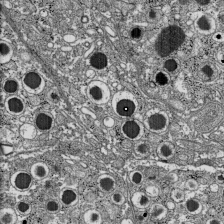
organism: C57BL Mouse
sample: Pancreatic islet